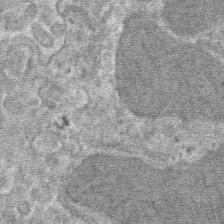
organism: Mouse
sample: Mouse hepatocytes